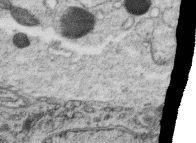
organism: C. elegans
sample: C. elegans oocyte; sperm cells